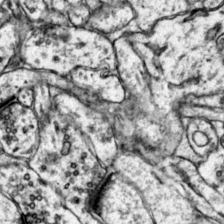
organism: Mouse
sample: Primary visual cortex